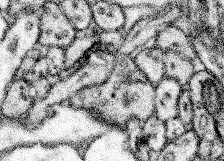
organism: Mouse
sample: Somatosensory cortex neuropil